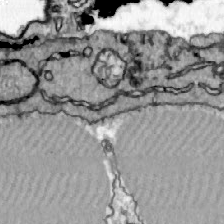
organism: Zebrafish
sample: Actinotrichia fibers